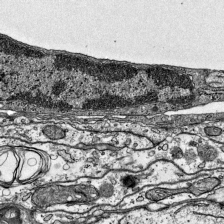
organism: Mouse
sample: Visual Cortex